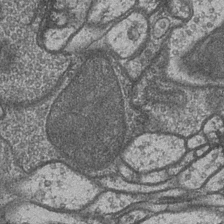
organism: Drosophila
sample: Optic medulla